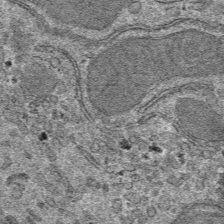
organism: Mouse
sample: Mouse hepatocytes